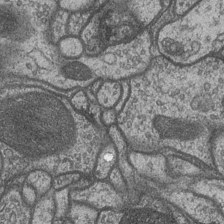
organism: Drosophila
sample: Optic medulla